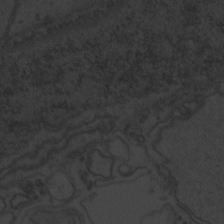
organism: Zebrafish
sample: Macrophage infected with Toxoplasma gondii